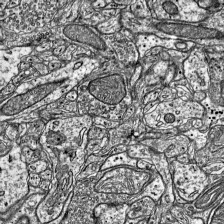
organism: Mouse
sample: Visual Cortex